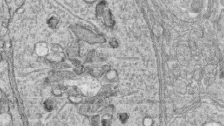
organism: Zebrafish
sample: synaptic ribbons in rod cells and cone cells